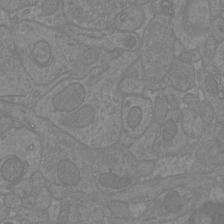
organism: Mouse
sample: Cortical neurons